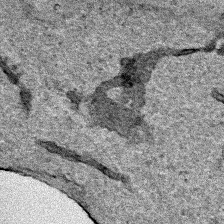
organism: Human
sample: Mitochondria in HCT116 cells